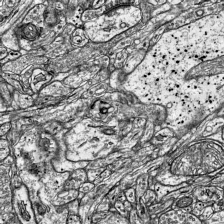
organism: Mouse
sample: Visual Cortex